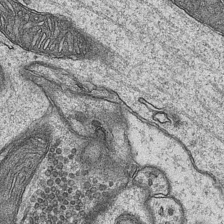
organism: Mouse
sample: CA1 Hippocampus